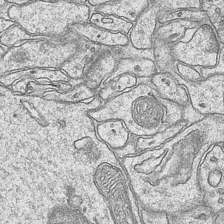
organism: Mouse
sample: CA1 Hippocampus